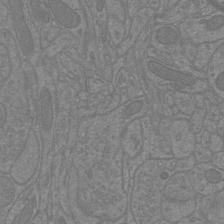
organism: Mouse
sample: Cortical neurons